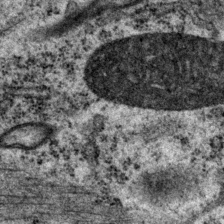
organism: P. pacificus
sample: Pharynx